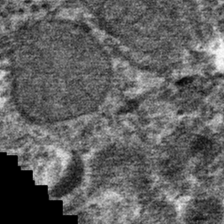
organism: Mouse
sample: Mouse hepatocytes